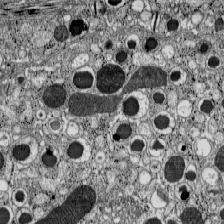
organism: C57BL Mouse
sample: Pancreatic islet